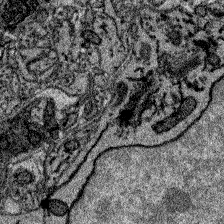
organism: Zebrafish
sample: Larval olfactory bulb